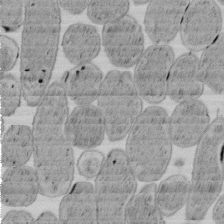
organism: E. coli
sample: Bacterial nucleoid